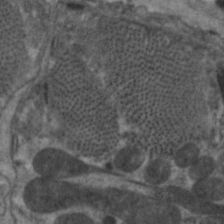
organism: C. elegans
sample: Pharynx